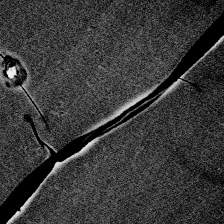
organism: Zebrafish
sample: Whole-Brain